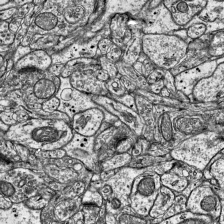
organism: Mouse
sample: Visual Cortex